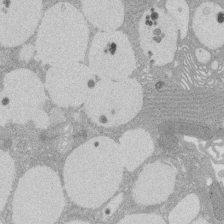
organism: Rat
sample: Salivary granule